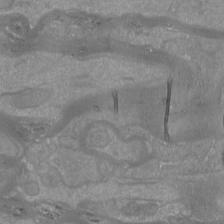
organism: Mouse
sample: Cortical neurons